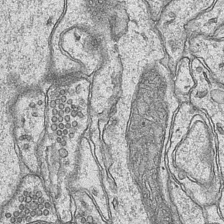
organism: Mouse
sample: CA1 Hippocampus